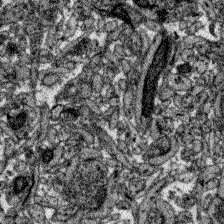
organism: Zebrafish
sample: Larval olfactory bulb